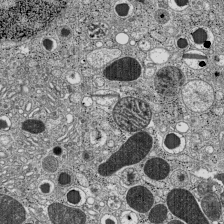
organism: C57BL Mouse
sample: Pancreatic islet